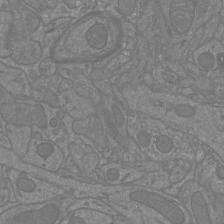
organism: Mouse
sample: Cortical neurons